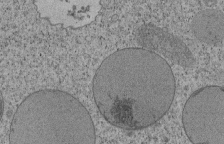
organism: Tetrahymena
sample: Cilia in tetrahymena